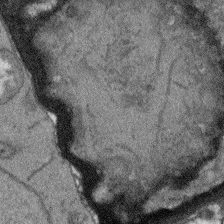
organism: Arabidopsis thaliana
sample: Root tip